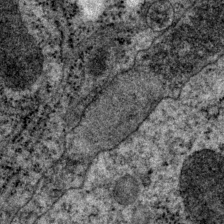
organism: P. pacificus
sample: Pharynx